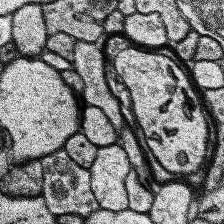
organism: Human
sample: Temporal Lobe